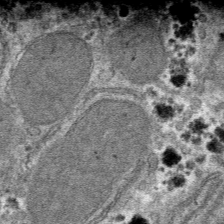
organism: Mouse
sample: Mouse hepatocytes